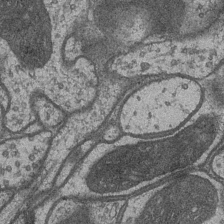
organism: Drosophila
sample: Optic medulla